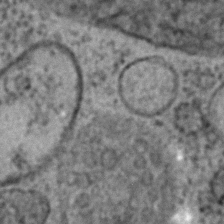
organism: C. elegans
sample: C. elegans embryo